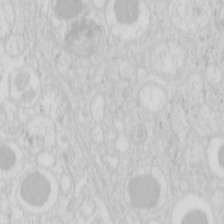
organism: Mouse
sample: Pancreas